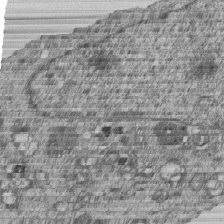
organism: Human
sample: MDA-MB-231 cells